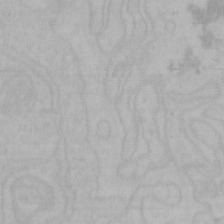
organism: Mouse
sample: Choroid plexus